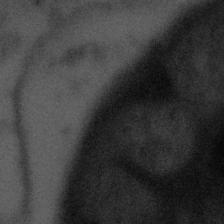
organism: Tuwongella immobilis